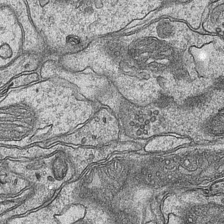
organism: Mouse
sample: CA1 Hippocampus